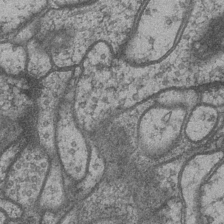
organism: Drosophila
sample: Optic medulla